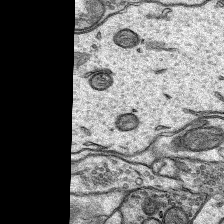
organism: Rat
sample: Hippocampus